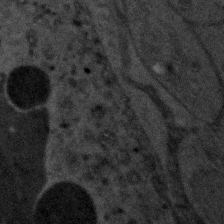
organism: Zebrafish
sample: Zebrafish embryo